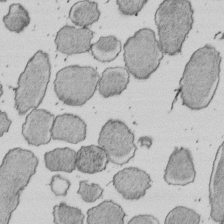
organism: E. coli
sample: Bacterial nucleoid